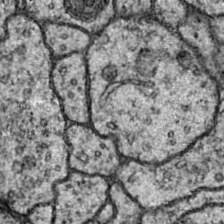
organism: Drosophila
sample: Ventral Nerve Cord